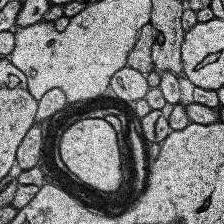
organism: Human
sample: Temporal Lobe